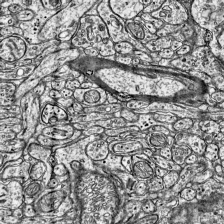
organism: Mouse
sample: Visual Cortex